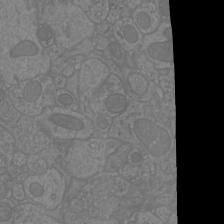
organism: Mouse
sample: Cortical neurons